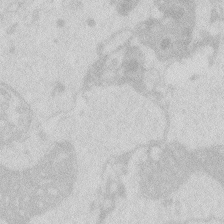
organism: Zebrafish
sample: Macrophage